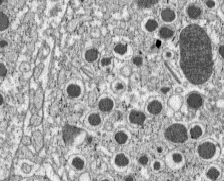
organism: C57BL Mouse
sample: Pancreatic islet